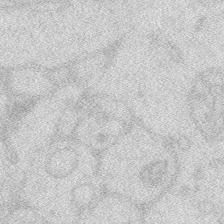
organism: Zebrafish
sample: Macrophage